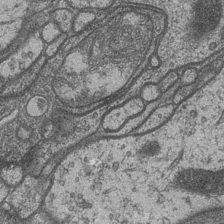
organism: Drosophila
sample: Optic medulla